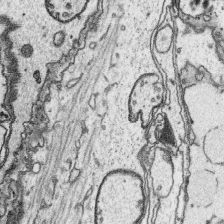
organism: Platynereis dumerilii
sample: Parapodia